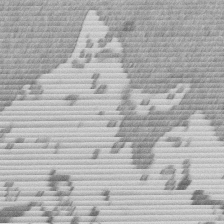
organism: Mouse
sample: Dividing mouse embryo 1 cell stage